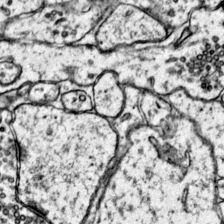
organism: Mouse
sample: Primary visual cortex